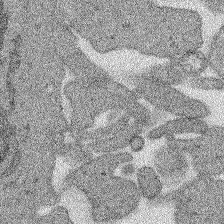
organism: Human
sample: HeLa cells